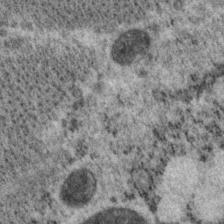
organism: P. pacificus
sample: Pharynx